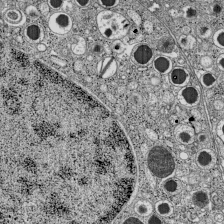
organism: C57BL Mouse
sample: Pancreatic islet